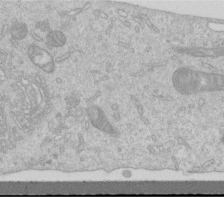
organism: Human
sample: Centriole in RPE cells